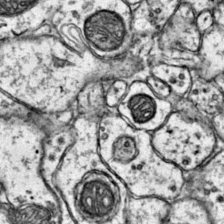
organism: Mouse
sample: Primary visual cortex